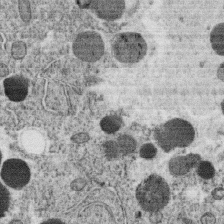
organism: C. elegans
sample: C. elegans oocyte; sperm cells